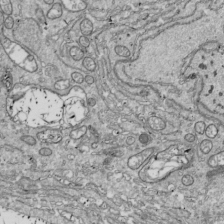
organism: Drosophila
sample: Cell division; meiosis; drosophila spermatocytes